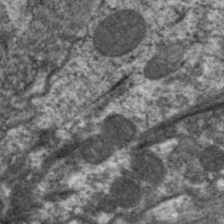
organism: C. elegans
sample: Pharynx